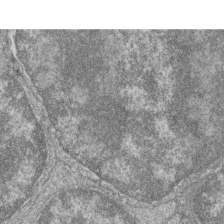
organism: Zebrafish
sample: Cilia; retinal pigment epithelium